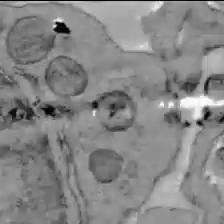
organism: C57BL Mouse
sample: Liver